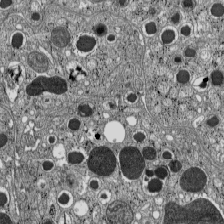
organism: C57BL Mouse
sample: Pancreatic islet